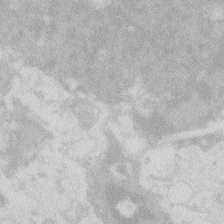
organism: Zebrafish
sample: Macrophage